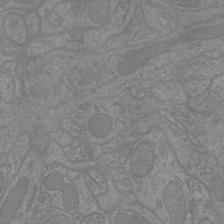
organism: Mouse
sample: Cortical neurons